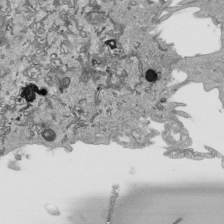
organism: Human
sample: Mitochondria in HCT116 cells